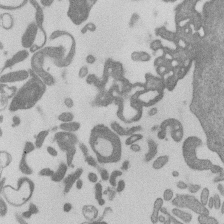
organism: Mouse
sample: Dividing mouse embryo 1 cell stage